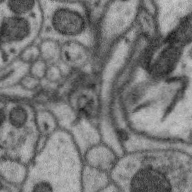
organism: Zebra finch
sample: Brain